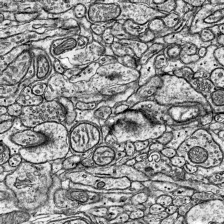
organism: Mouse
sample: Visual Cortex